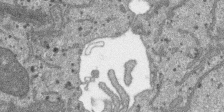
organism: Human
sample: Lung epithelial cells infected with SARS-CoV-2